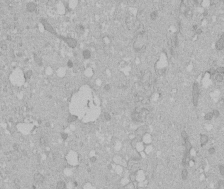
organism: Human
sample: Melanocyte Keratinocyte synapse skin construct